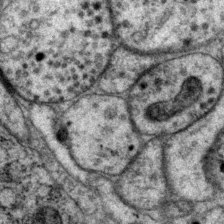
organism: P. pacificus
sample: Pharynx